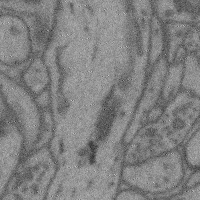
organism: Mouse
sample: Cerebral cortex